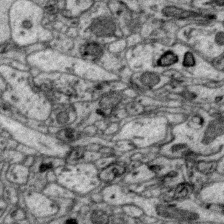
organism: Zebra finch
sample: Brain